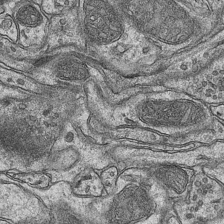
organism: Mouse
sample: CA1 Hippocampus